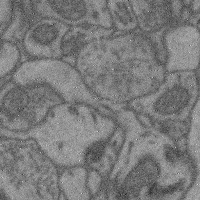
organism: Mouse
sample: Cerebral cortex